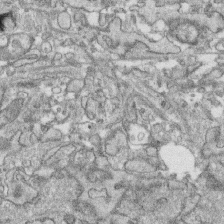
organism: Human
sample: CRL-1474